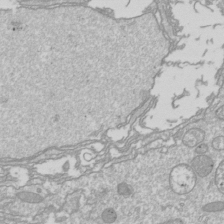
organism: Drosophila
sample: Cell division; meiosis; drosophila spermatocytes